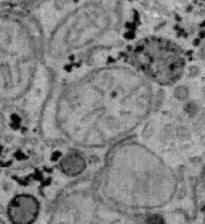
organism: Mouse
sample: Liver from an obese (ob/ob) mouse